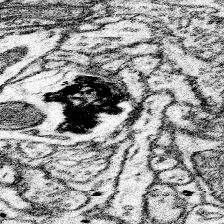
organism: Mouse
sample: Somatosensory cortex neuropil